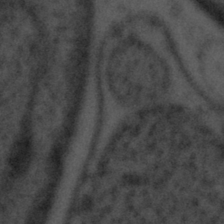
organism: Tuwongella immobilis